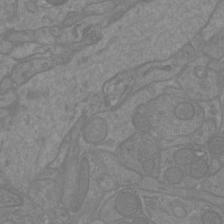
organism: Mouse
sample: Cortical neurons